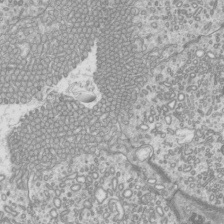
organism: Mouse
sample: Cilia; mouse epididymis